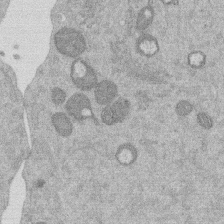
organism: Mouse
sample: Dividing mouse embryo 1 cell stage